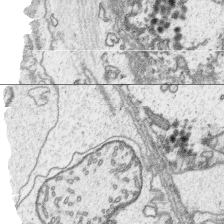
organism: Platynereis dumerilii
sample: Parapodia